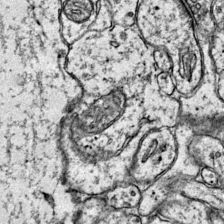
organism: Mouse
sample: Primary visual cortex